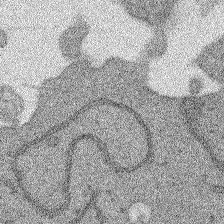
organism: Human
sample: HeLa cells